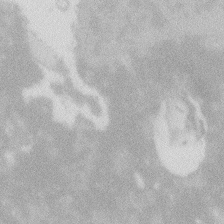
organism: Zebrafish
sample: Macrophage